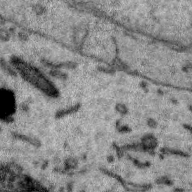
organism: Zebra finch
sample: Brain